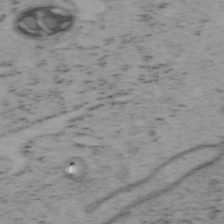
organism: Mouse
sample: OT-I killer T cells with ID8 ovarian cancer cells